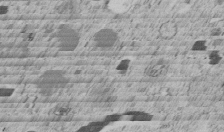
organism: C. elegans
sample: C. elegans embryo early stage